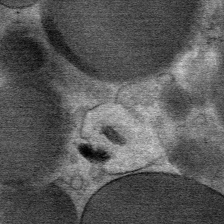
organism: Mouse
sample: Mouse Salivary gland